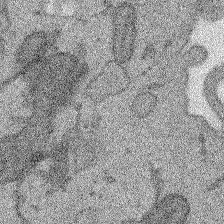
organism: Human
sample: HeLa cells